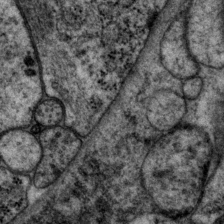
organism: P. pacificus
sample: Pharynx